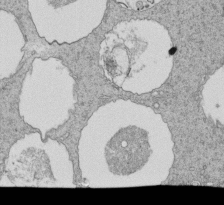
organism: Tetrahymena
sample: Cilia in tetrahymena